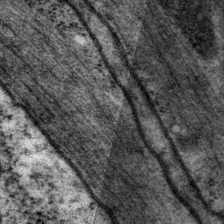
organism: P. pacificus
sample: Pharynx